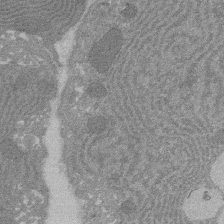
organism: Rat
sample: Salivary granule